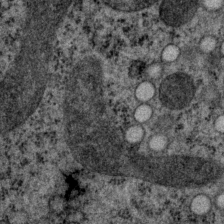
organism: P. pacificus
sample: Pharynx